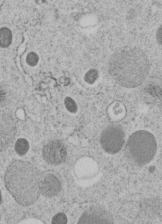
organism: C. elegans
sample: C. elegans embryo early stage